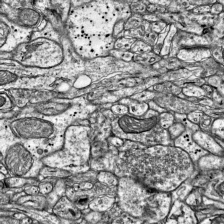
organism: Mouse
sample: Visual Cortex